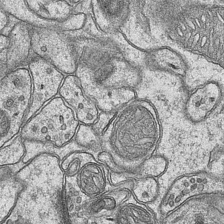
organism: Mouse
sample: CA1 Hippocampus